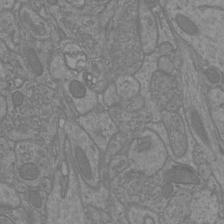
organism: Mouse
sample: Cortical neurons